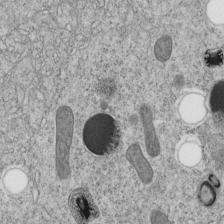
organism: C. elegans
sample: C. elegans embryo early stage